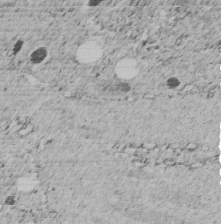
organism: C. elegans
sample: C. elegans embryo early stage